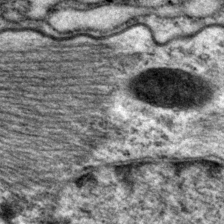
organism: P. pacificus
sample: Pharynx